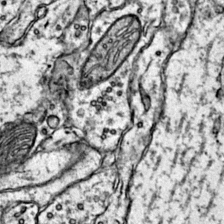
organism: Mouse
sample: Primary visual cortex